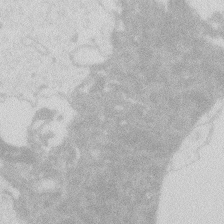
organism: Zebrafish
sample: Macrophage